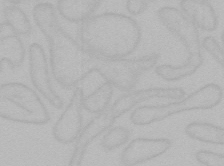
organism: Mouse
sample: Choroid plexus